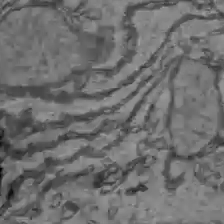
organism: C57BL Mouse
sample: Liver